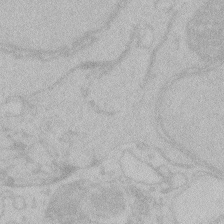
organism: Zebrafish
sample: Macrophage infected with Toxoplasma gondii